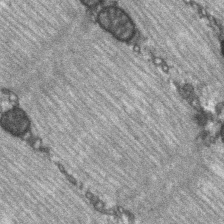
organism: C57BL Mouse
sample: Soleus